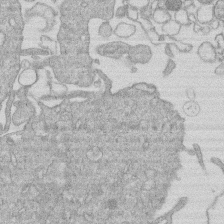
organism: Human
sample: Macrophage cells